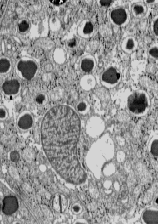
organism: C57BL Mouse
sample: Pancreatic islet